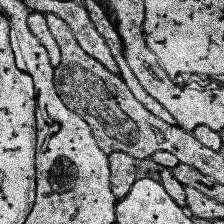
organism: Human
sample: Temporal Lobe